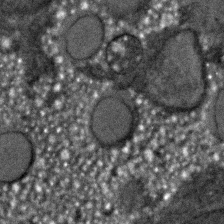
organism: C. elegans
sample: C. elegans embryo